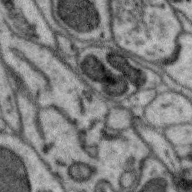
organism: Zebra finch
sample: Brain